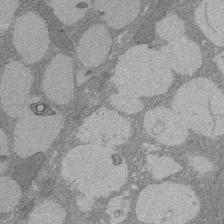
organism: Rat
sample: Salivary granule